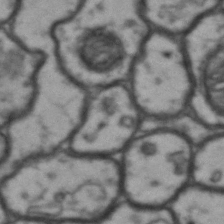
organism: Drosophila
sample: Brain